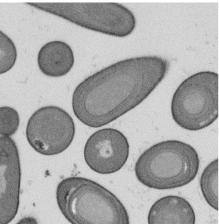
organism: B. subtilis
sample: Bacterial spore